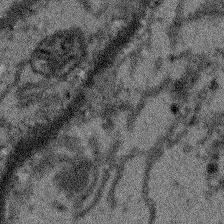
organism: Arabidopsis thaliana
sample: Root tip